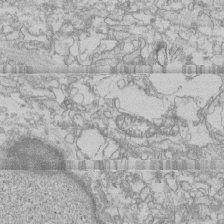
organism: Human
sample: CRL-1474